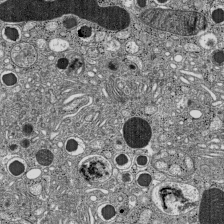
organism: C57BL Mouse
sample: Pancreatic islet